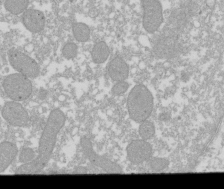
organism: Xenopus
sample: Cilia; centrioles in frog embryo cells